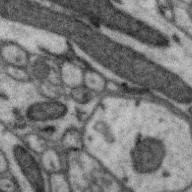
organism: Zebra finch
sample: Brain